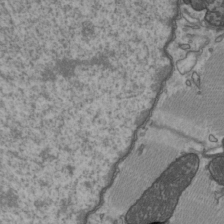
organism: C57BL Mouse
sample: Heart